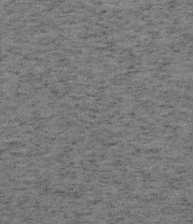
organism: Mouse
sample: OT-I killer T cells with ID8 ovarian cancer cells